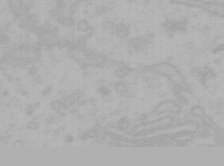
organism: Mouse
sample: Choroid plexus